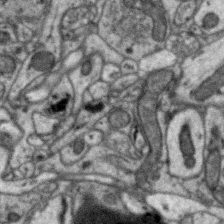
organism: Zebra finch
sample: Brain